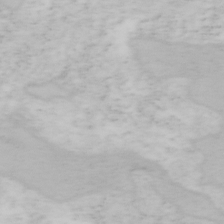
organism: Mouse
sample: OT-I killer T cells with ID8 ovarian cancer cells